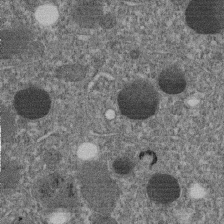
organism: C. elegans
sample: C. elegans embryo early stage